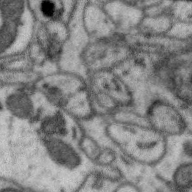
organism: Zebra finch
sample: Brain